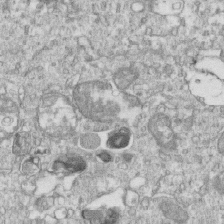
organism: Mouse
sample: Activated OT-1 CD8+ T cells